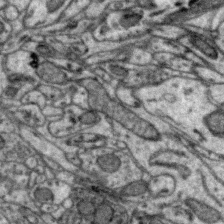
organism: Zebra finch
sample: Brain